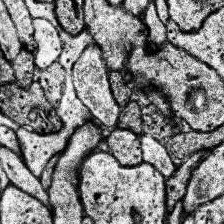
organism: Human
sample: Temporal Lobe